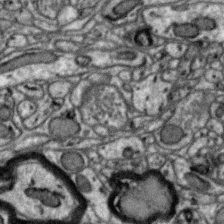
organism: Zebra finch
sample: Brain